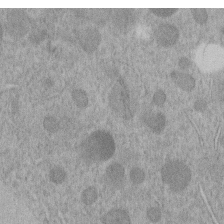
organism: C. elegans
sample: C. elegans embryo early stage